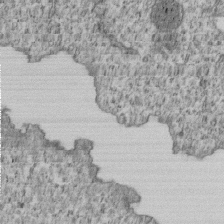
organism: Human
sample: MDA-MB-231 cells